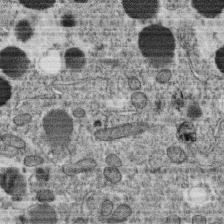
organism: C. elegans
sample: C. elegans oocyte; sperm cells